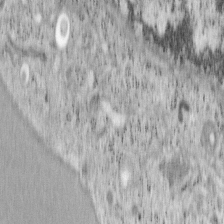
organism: Human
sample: HeLa cells